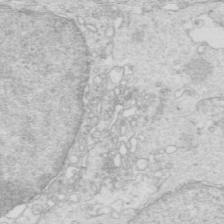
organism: Mouse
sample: Multiciliated cells